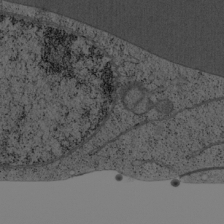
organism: African green monkey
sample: COS-7 cells